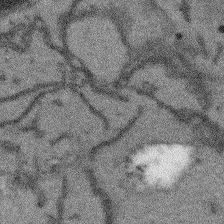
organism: Arabidopsis thaliana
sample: Root tip